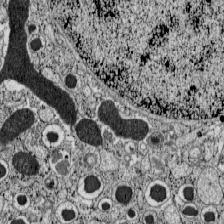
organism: C57BL Mouse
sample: Pancreatic islet